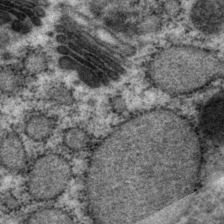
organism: P. pacificus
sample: Pharynx